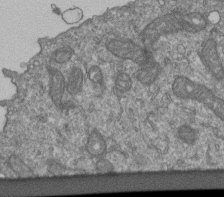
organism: Human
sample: Retinal organoid Rod and Cone cells